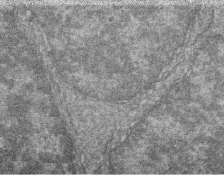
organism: Zebrafish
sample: Cilia; retinal pigment epithelium